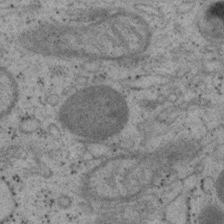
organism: Human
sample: HeLa cells